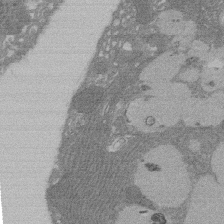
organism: Rat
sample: Salivary granule